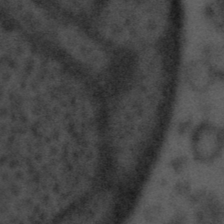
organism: Tuwongella immobilis